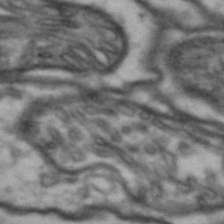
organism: Drosophila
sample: Brain